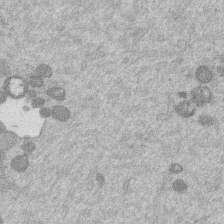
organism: Mouse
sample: Dividing mouse embryo 1 cell stage